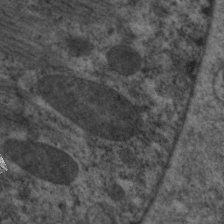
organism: C. elegans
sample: Pharynx